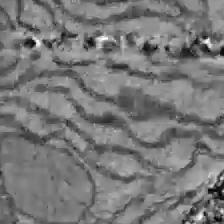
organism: C57BL Mouse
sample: Liver